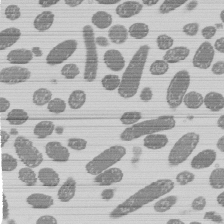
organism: E. coli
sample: Bacterial nucleoid